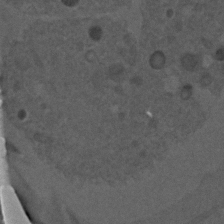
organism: C. elegans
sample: C. elegans embryo